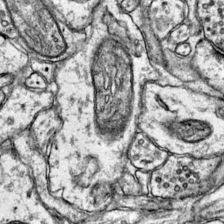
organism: Mouse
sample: Primary visual cortex